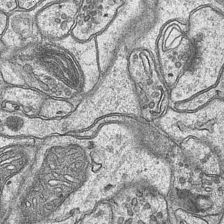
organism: Mouse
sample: CA1 Hippocampus